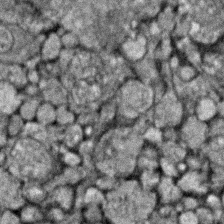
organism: Zebrafish